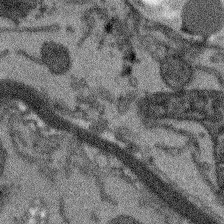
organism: Arabidopsis thaliana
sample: Root tip